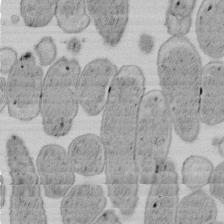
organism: E. coli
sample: Bacterial nucleoid